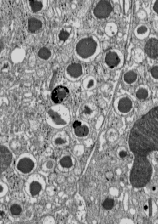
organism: C57BL Mouse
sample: Pancreatic islet